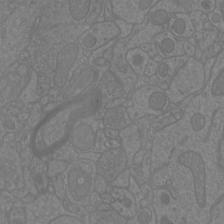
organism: Mouse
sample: Cortical neurons